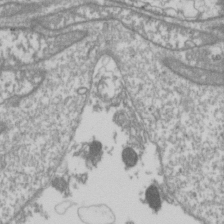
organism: Drosophila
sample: Cell division; meiosis; drosophila spermatocytes